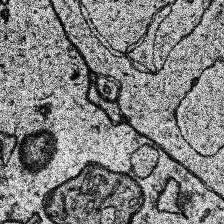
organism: Human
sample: Temporal Lobe